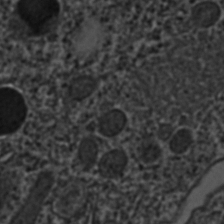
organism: C. elegans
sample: C. elegans embryo